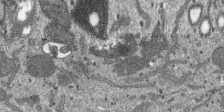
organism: Human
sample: Lung epithelial cells infected with SARS-CoV-2